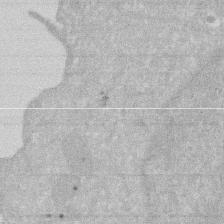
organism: Human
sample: HIV infected U937 cells